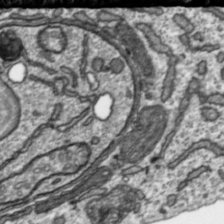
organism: Toxoplasma gondii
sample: Parasites in a vacuole inside a host cell